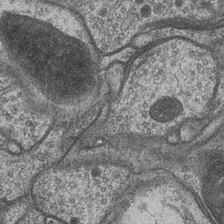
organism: Drosophila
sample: Optic medulla